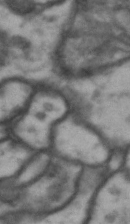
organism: Drosophila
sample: Brain